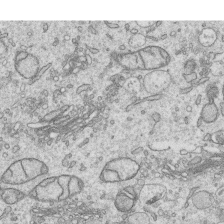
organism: Human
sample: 1205lu cells